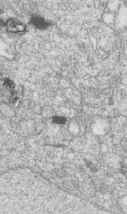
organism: Human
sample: HeLa cell HIV synapse